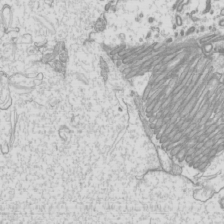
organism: Mouse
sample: Cilia; mouse epididymis